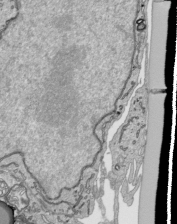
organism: Human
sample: Mitochondria in HCT116 cells